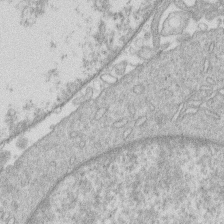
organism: Human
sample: Macrophage cells